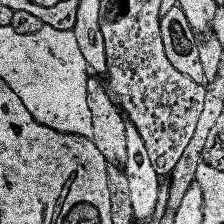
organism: Human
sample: Temporal Lobe